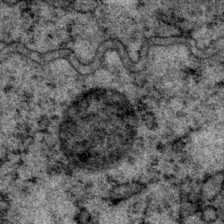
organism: P. pacificus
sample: Pharynx